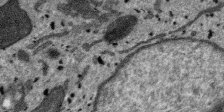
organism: Human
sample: Lung epithelial cells, uninfected (mock) control